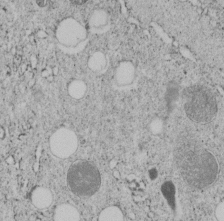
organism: C. elegans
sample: C. elegans embryo early stage